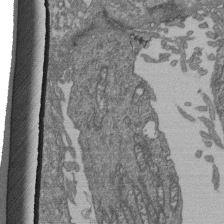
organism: Human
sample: Retinal organoid Rod and Cone cells